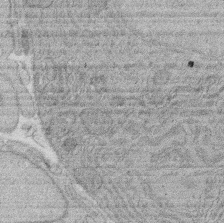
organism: Rat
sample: Salivary granule